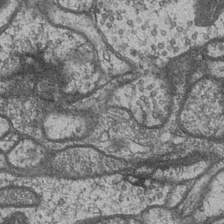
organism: Drosophila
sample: Optic medulla